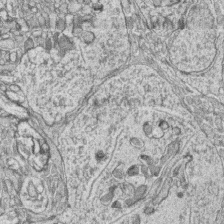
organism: Zebrafish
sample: synaptic ribbons in rod cells and cone cells